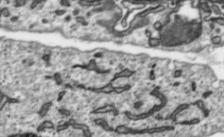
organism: Toxoplasma gondii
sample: Parasites in a vacuole inside a host cell